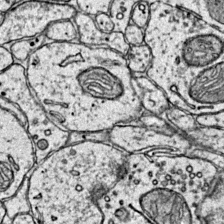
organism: Mouse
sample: Primary visual cortex